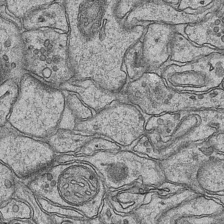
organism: Mouse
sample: CA1 Hippocampus